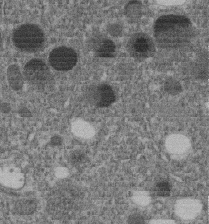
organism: C. elegans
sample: C. elegans embryo early stage